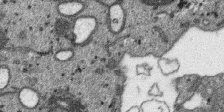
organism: Human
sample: Lung epithelial cells infected with SARS-CoV-2